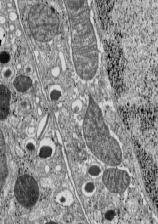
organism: C57BL Mouse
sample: Pancreatic islet